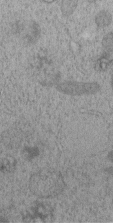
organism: C. elegans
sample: C. elegans embryo early stage